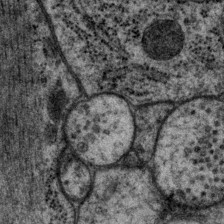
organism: P. pacificus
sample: Pharynx